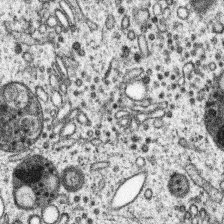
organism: Human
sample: HeLa cells